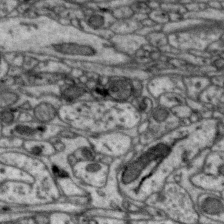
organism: Zebra finch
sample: Brain